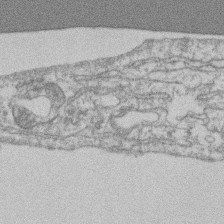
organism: Mouse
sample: T cell stromal cell synapse